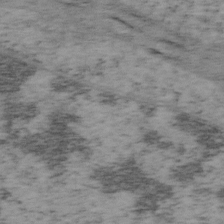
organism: Mouse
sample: OT-I killer T cells with ID8 ovarian cancer cells